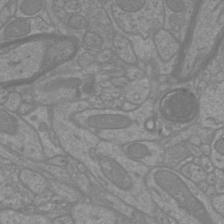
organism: Mouse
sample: Cortical neurons